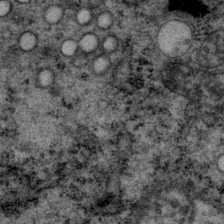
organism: P. pacificus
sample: Pharynx